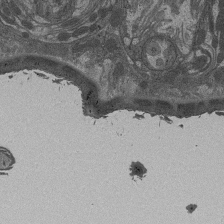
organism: Drosophila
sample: Antenna